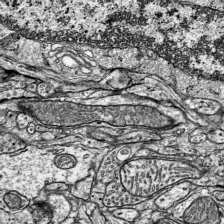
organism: Mouse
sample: Visual Cortex